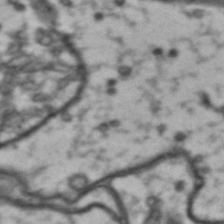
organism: Drosophila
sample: Brain